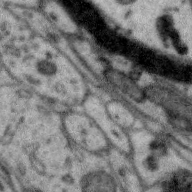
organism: Zebra finch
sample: Brain